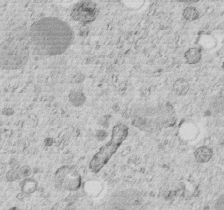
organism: C. elegans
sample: C. elegans embryo early stage